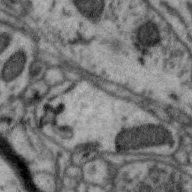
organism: Zebra finch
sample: Brain